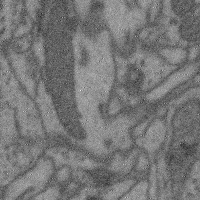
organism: Mouse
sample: Cerebral cortex